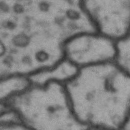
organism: Drosophila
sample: Brain